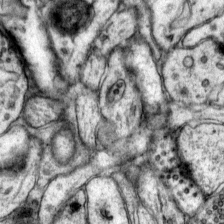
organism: Mouse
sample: Primary visual cortex